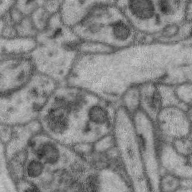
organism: Zebra finch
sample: Brain